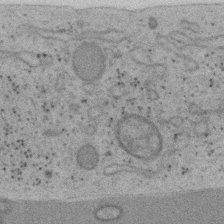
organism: Human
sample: HeLa cells